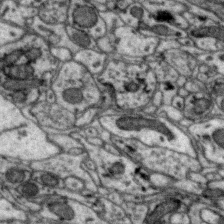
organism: Zebra finch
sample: Brain